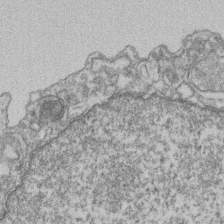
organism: Mouse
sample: T cell stromal cell synapse